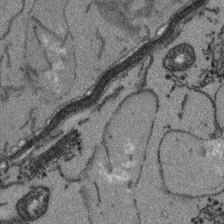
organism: Arabidopsis thaliana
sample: Root tip